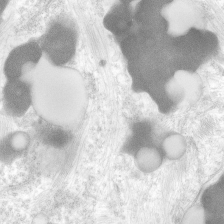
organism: Human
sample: Neocortex